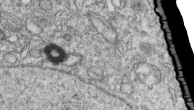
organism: Human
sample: HeLa cell HIV synapse